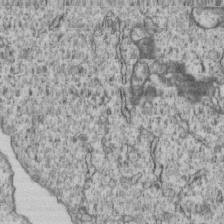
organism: Human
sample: MDA-MB-231 cells